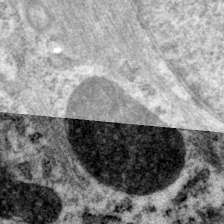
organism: P. pacificus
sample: Pharynx